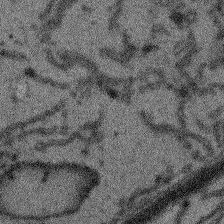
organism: Arabidopsis thaliana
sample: Root tip